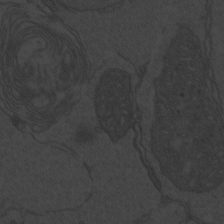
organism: Zebrafish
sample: Macrophage infected with Toxoplasma gondii